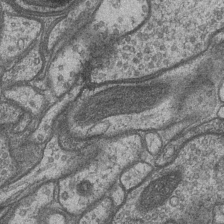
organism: Drosophila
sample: Optic medulla